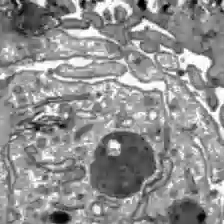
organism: C57BL Mouse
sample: Liver